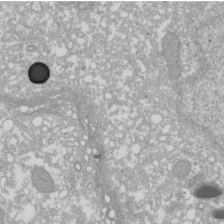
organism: Xenopus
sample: Cilia; centrioles in frog embryo cells